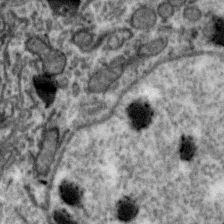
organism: Zebra finch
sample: Brain